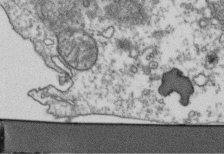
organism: Human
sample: Activated Jurkat CD4+ T cells